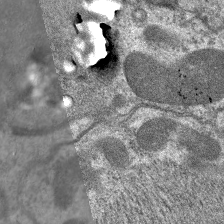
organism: C. elegans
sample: Pharynx